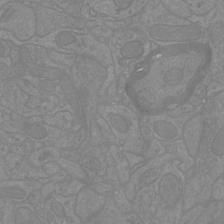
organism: Mouse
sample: Cortical neurons